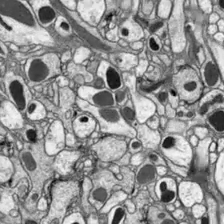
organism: Drosophila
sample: Optic lobe